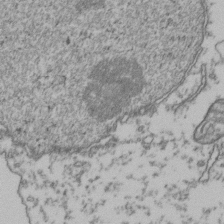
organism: Human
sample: Activated Jurkat CD4+ T cells